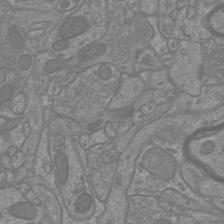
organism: Mouse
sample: Cortical neurons